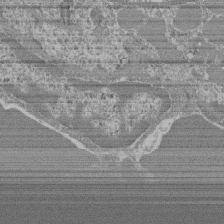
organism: Mouse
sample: Glomerulus